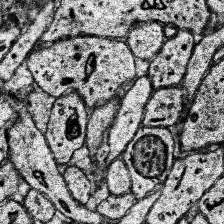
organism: Human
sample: Temporal Lobe